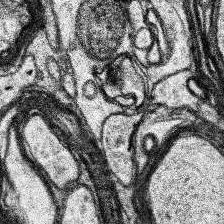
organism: Human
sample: Temporal Lobe